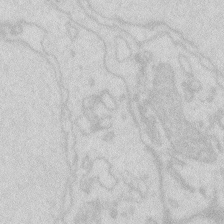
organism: Zebrafish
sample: Macrophage